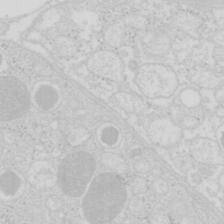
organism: Mouse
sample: Pancreas